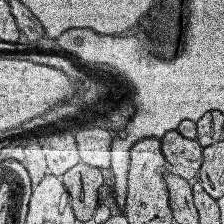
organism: Human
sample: Temporal Lobe